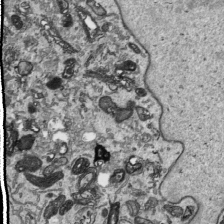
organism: Human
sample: Mitochondria in HCT116 cells